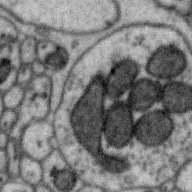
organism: Zebra finch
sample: Brain